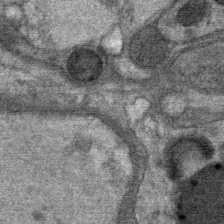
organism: Mouse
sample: Mouse Salivary gland